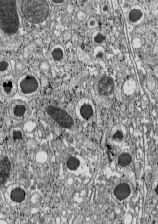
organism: C57BL Mouse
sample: Pancreatic islet